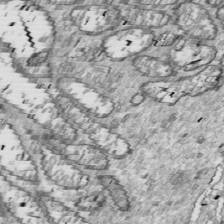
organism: Drosophila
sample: Cell division; meiosis; drosophila spermatocytes